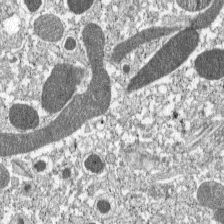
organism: C57BL Mouse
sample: Pancreatic islet